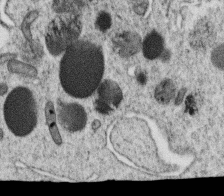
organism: C. elegans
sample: C. elegans oocyte; sperm cells